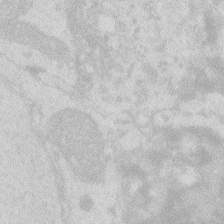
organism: Zebrafish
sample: Macrophage